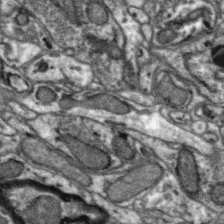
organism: Zebra finch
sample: Brain